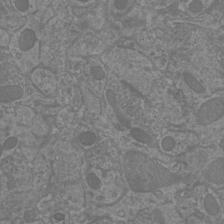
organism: Mouse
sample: Cortical neurons